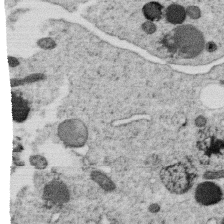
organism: C. elegans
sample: C. elegans oocyte; sperm cells